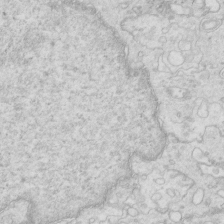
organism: Mouse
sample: Multiciliated cells